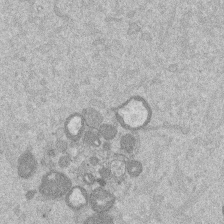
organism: Mouse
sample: Dividing mouse embryo 1 cell stage